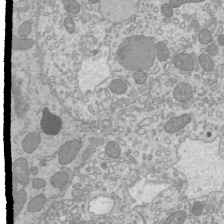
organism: Mouse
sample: Cilia; mouse epididymis